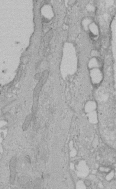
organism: Human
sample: Melanocyte Keratinocyte synapse skin construct